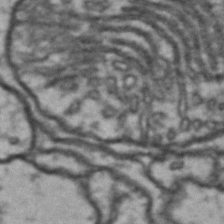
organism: Drosophila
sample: Brain